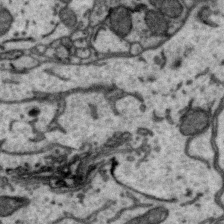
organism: Zebra finch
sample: Brain